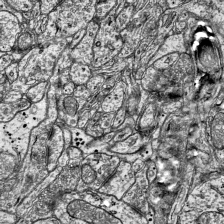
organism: Mouse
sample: Visual Cortex